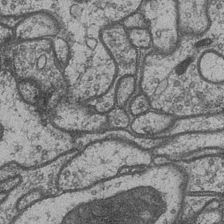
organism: Drosophila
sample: Optic medulla